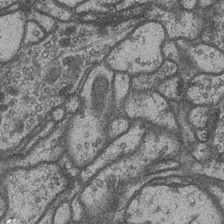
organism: Drosophila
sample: Optic medulla